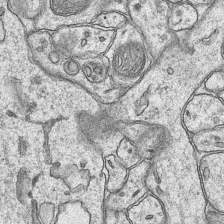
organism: Mouse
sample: CA1 Hippocampus